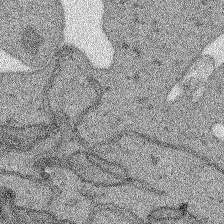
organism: Human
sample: HeLa cells